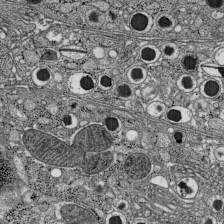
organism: C57BL Mouse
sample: Pancreatic islet